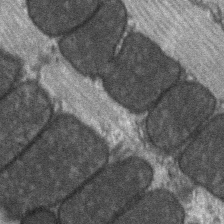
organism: C57BL Mouse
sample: Soleus